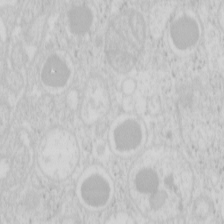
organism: Mouse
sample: Pancreas